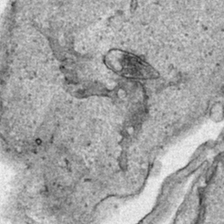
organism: Human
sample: Mitochondria in HCT116 cells